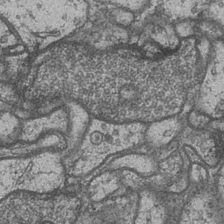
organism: Drosophila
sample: Optic medulla